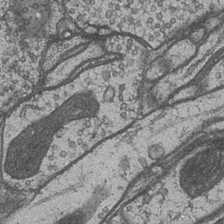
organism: Drosophila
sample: Optic medulla